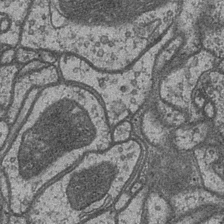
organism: Drosophila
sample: Optic medulla